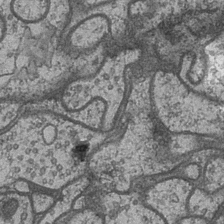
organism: Drosophila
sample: Optic medulla